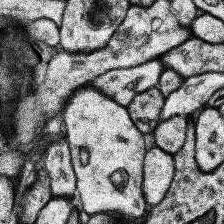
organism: Human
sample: Temporal Lobe